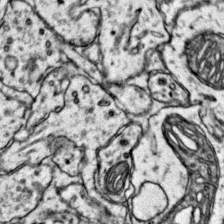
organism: Mouse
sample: Primary visual cortex